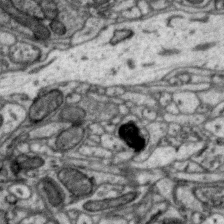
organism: Zebra finch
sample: Brain